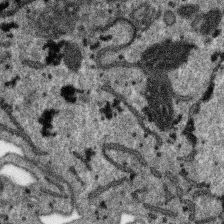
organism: Human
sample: Lung epithelial cells infected with SARS-CoV-2